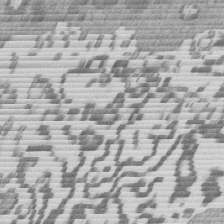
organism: Mouse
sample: Dividing mouse embryo 1 cell stage